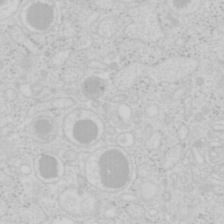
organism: Mouse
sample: Pancreas